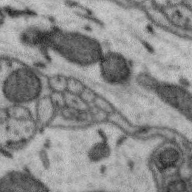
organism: Zebra finch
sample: Brain